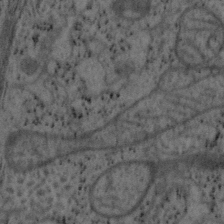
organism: Human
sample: HeLa cells